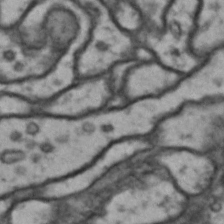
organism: Drosophila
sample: Brain